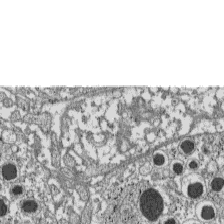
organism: C57BL Mouse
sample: Pancreatic islet